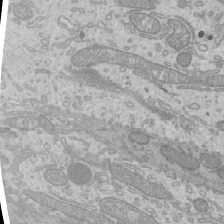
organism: Mouse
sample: Cilia; mouse epididymis